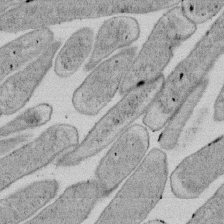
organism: E. coli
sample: Bacterial nucleoid